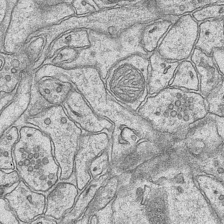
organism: Mouse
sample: CA1 Hippocampus